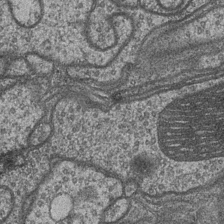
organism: Drosophila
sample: Optic medulla